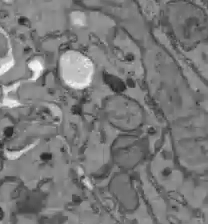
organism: C57BL Mouse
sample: Liver